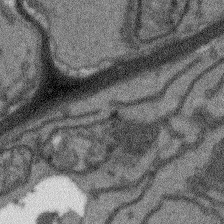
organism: Arabidopsis thaliana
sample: Root tip